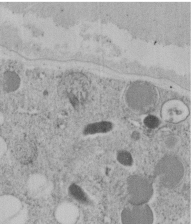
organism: C. elegans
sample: C. elegans embryo early stage